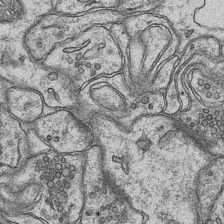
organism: Mouse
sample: CA1 Hippocampus